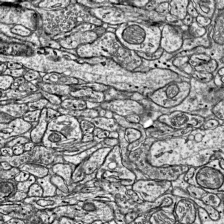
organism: Mouse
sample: Visual Cortex